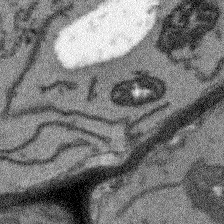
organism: Arabidopsis thaliana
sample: Root tip